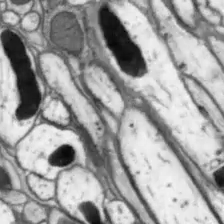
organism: Drosophila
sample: Optic lobe